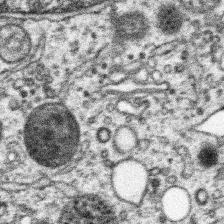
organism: Human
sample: HeLa cells